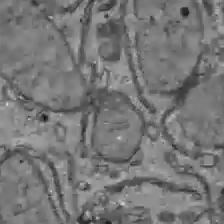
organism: C57BL Mouse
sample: Liver